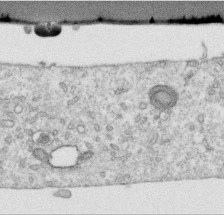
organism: Human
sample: Centriole in RPE cells